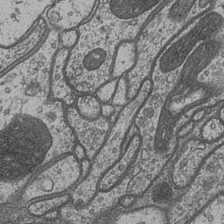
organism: Drosophila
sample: Optic medulla